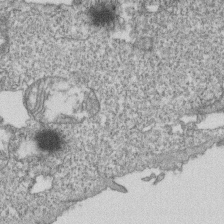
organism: Human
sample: HeLa cell HIV synapse